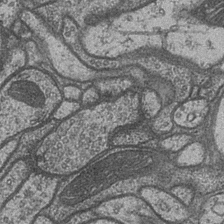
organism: Drosophila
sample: Optic medulla